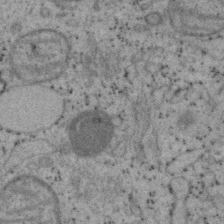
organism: Human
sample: HeLa cells